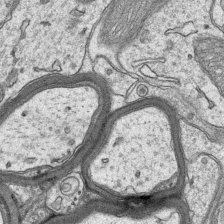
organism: Mouse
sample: CA1 Hippocampus